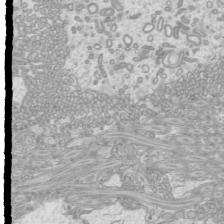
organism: Mouse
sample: Cilia; mouse epididymis